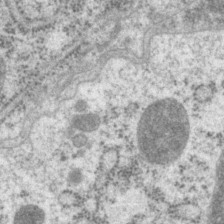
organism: P. pacificus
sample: Pharynx